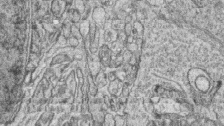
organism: Zebrafish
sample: synaptic ribbons in rod cells and cone cells